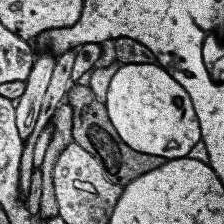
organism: Human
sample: Temporal Lobe